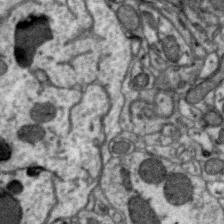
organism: Zebra finch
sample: Brain